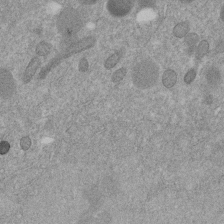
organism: C. elegans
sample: C. elegans embryo early stage